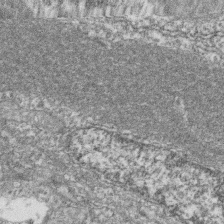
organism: Zebrafish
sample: Cilia; retinal pigment epithelium